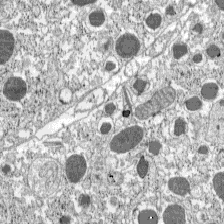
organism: C57BL Mouse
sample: Pancreatic islet